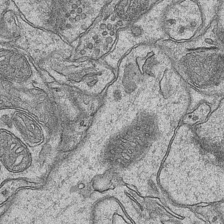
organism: Mouse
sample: CA1 Hippocampus